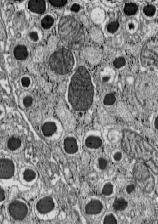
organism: C57BL Mouse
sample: Pancreatic islet